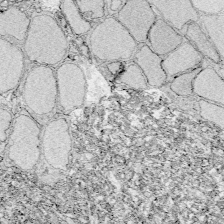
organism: Zebrafish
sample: Whole-Brain